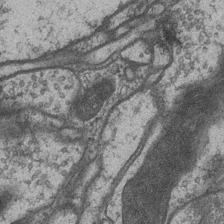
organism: Drosophila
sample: Optic medulla